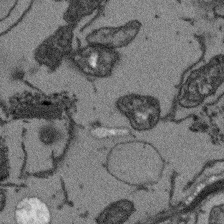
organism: Arabidopsis thaliana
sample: Root tip